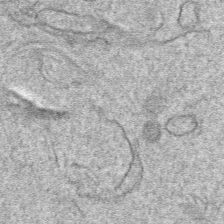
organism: Mouse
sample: Mouse hepatocytes